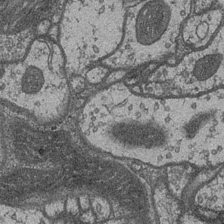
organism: Drosophila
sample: Optic medulla